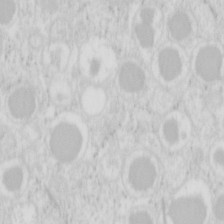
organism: Mouse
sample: Pancreas